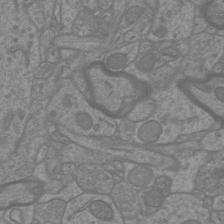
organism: Mouse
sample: Cortical neurons